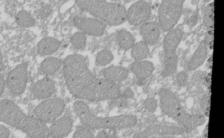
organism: Xenopus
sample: Cilia; centrioles in frog embryo cells